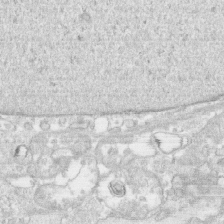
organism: Human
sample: CRL-1474